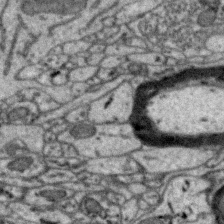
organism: Zebra finch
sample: Brain